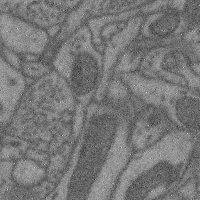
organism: Mouse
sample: Cerebral cortex